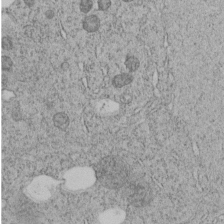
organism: C. elegans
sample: C. elegans embryo early stage